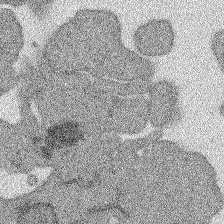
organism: Human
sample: HeLa cells